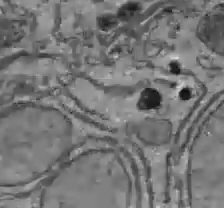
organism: C57BL Mouse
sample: Liver